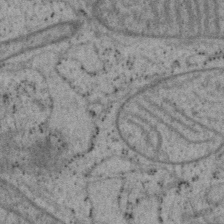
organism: Human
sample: HeLa cells